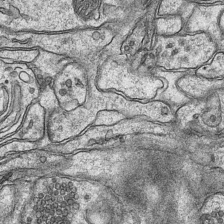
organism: Mouse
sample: CA1 Hippocampus